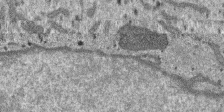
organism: Human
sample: Lung epithelial cells infected with SARS-CoV-2